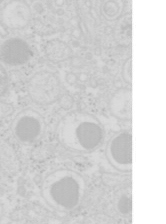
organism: Mouse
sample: Pancreas